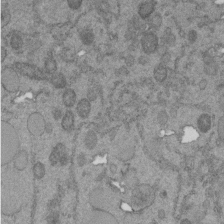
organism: C. elegans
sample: C. elegans embryo early stage